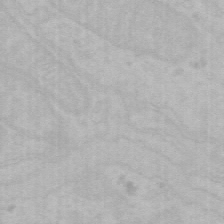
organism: Mouse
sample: Choroid plexus